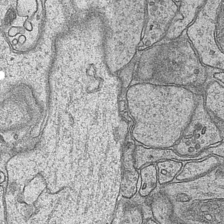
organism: Mouse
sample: CA1 Hippocampus